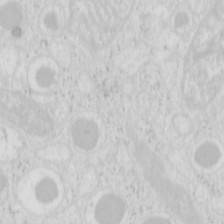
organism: Mouse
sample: Pancreas